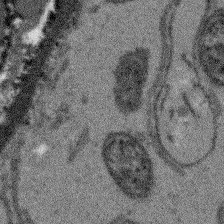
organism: Arabidopsis thaliana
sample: Root tip